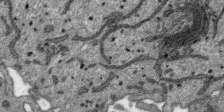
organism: Human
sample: Lung epithelial cells, uninfected (mock) control